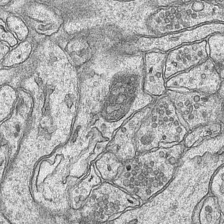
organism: Mouse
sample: CA1 Hippocampus